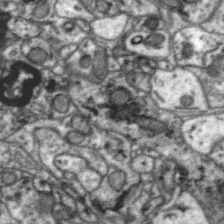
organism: Zebra finch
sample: Brain